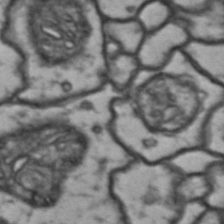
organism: Drosophila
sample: Brain